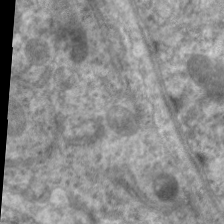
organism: C. elegans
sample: Pharynx